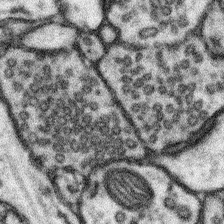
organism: Mouse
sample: Somatosensory cortex neuropil